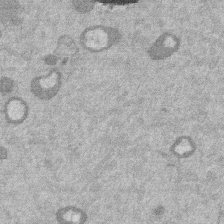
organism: Mouse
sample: Dividing mouse embryo 1 cell stage